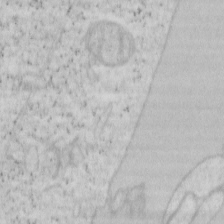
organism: Human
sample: HeLa cells